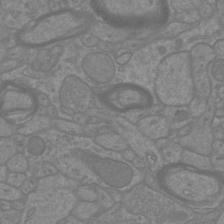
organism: Mouse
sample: Cortical neurons